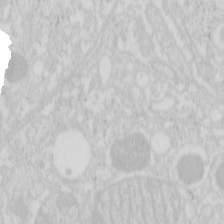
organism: Mouse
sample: Pancreas